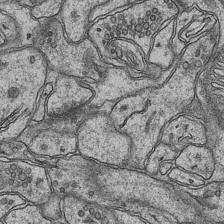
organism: Mouse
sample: CA1 Hippocampus